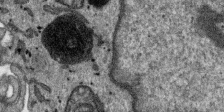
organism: Human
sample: Lung epithelial cells, uninfected (mock) control